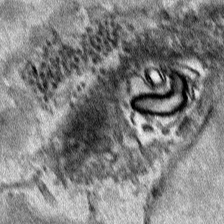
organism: Human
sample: Mitochondria in HCT116 cells